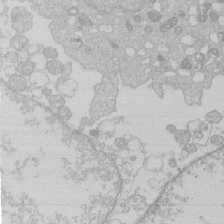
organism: Human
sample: Macrophage cells